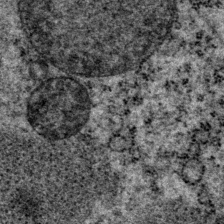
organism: P. pacificus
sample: Pharynx